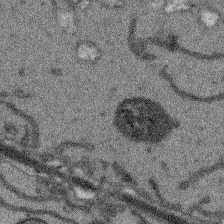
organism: Arabidopsis thaliana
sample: Root tip